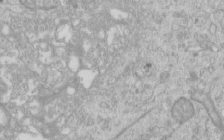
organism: Human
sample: Centriole in RPE cells